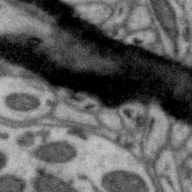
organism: Zebra finch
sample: Brain